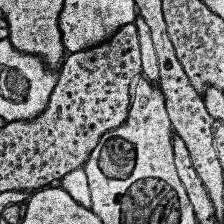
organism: Human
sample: Temporal Lobe